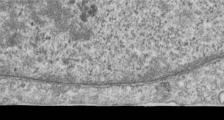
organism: Human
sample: Centriole in RPE cells